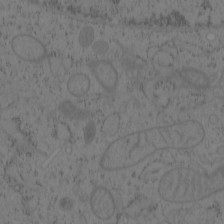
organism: Human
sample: HeLa cells